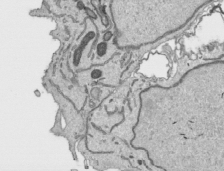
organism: Human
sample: Mitochondria in HCT116 cells